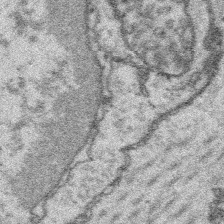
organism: Platynereis dumerilii